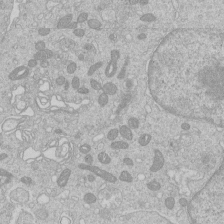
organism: Human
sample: Macrophage cells